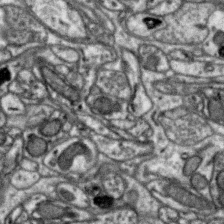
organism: Zebra finch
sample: Brain